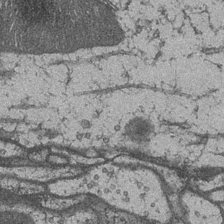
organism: Drosophila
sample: Optic medulla